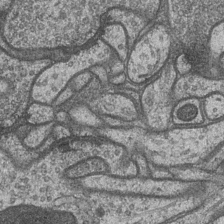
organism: Drosophila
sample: Optic medulla